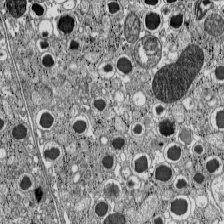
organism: C57BL Mouse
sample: Pancreatic islet